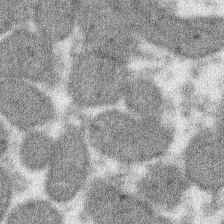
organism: Xenopus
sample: Cilia; centrioles in frog embryo cells